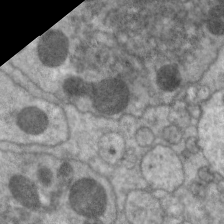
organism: C. elegans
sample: Pharynx